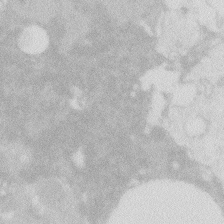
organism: Zebrafish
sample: Macrophage